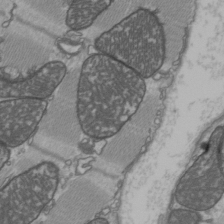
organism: C57BL Mouse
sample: Heart